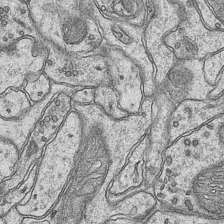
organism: Mouse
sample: CA1 Hippocampus